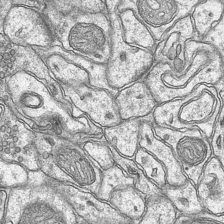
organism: Mouse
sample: CA1 Hippocampus